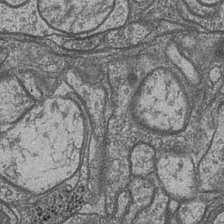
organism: Drosophila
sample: Optic medulla